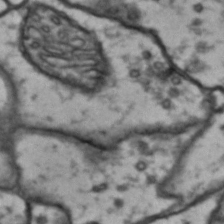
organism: Drosophila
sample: Brain